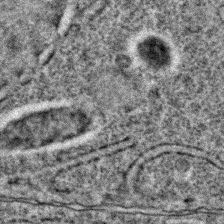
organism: C. elegans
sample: C. elegans embryo